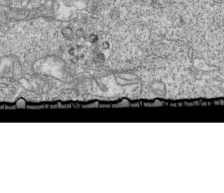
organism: Human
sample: HeLa cell HIV synapse